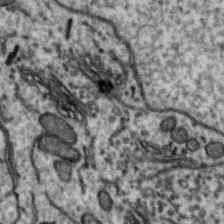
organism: Zebra finch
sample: Brain